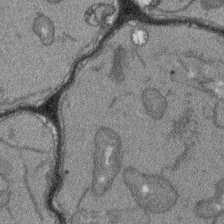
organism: Arabidopsis thaliana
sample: Root tip